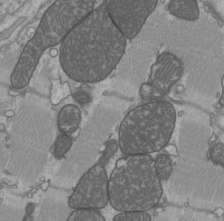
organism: C57BL Mouse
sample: Heart